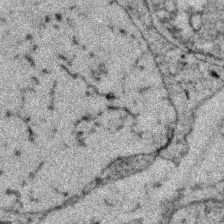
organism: Zebrafish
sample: Zebrafish embryo